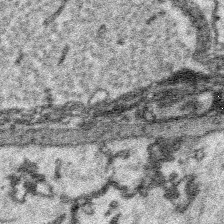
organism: Platynereis dumerilii